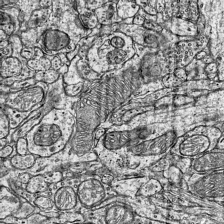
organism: Mouse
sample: Visual Cortex